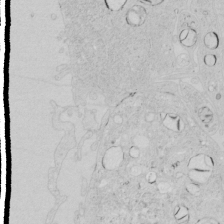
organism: Human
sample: Mitochondria in HCT116 cells